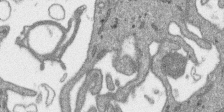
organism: Human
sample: Lung epithelial cells infected with SARS-CoV-2